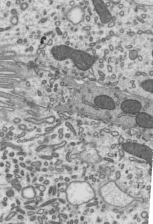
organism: Mouse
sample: Mouse epididymis efferent ductule cilia